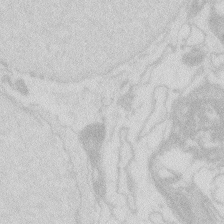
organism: Zebrafish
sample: Macrophage